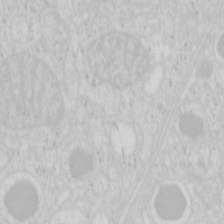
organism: Mouse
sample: Pancreas